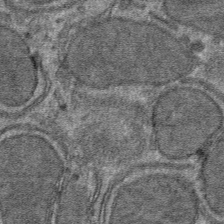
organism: Mouse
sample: Mouse hepatocytes